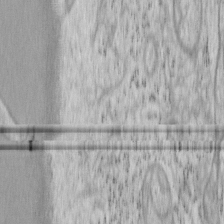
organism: Human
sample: HeLa cells